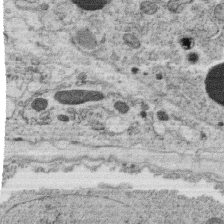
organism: C. elegans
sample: C. elegans oocyte; sperm cells